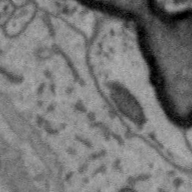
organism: Zebra finch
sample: Brain